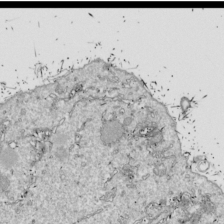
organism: Drosophila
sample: Cell division; meiosis; drosophila spermatocytes